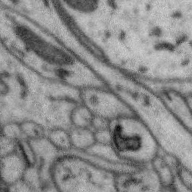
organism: Zebra finch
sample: Brain